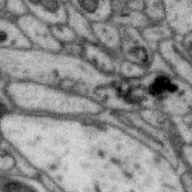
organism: Zebra finch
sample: Brain